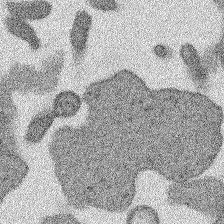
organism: Human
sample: HeLa cells